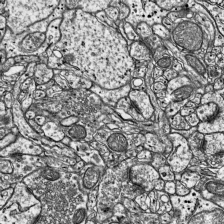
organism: Mouse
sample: Visual Cortex